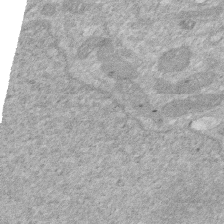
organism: Human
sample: HIV infected U937 cells